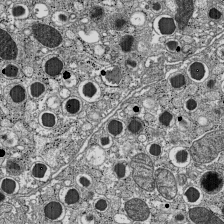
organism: C57BL Mouse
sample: Pancreatic islet